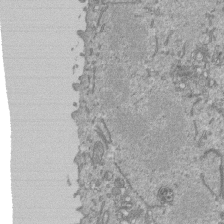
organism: Mouse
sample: ED-1 cell nuclei; centrioles